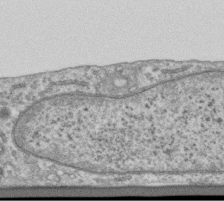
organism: Human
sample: Centriole in RPE cells